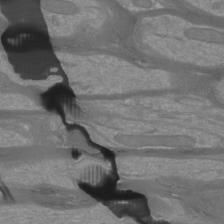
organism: Mouse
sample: Cortical neurons